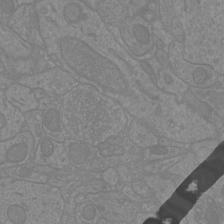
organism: Mouse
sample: Cortical neurons